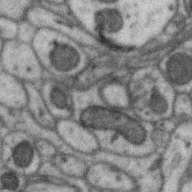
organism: Zebra finch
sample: Brain